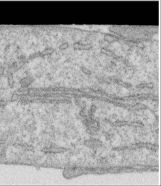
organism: Human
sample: Centriole in RPE cells